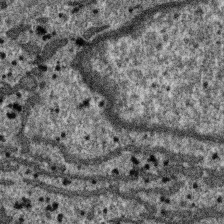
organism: Human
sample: Lung epithelial cells infected with SARS-CoV-2